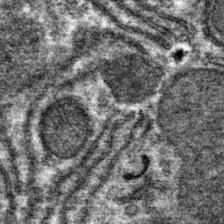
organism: Mouse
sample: Mouse hepatocytes